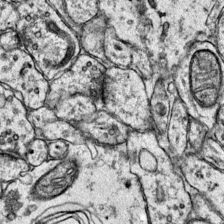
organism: Mouse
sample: Primary visual cortex